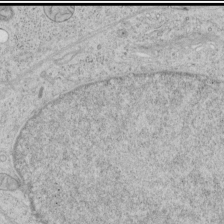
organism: Human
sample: Mitochondria in HCT116 cells